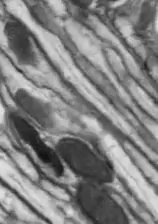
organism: Drosophila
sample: Optic lobe